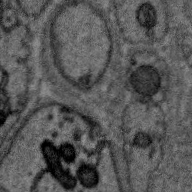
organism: Zebra finch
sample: Brain